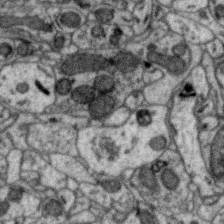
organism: Zebra finch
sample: Brain